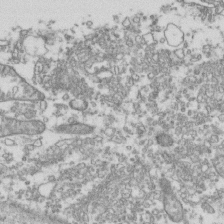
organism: Human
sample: Activated Jurkat CD4+ T cells